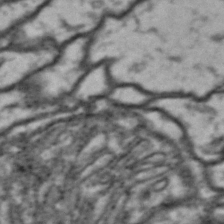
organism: Drosophila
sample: Brain